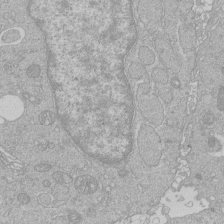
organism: Human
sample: Macrophage cells